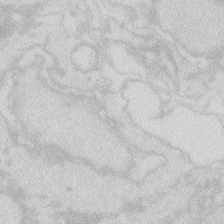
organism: Zebrafish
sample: Macrophage